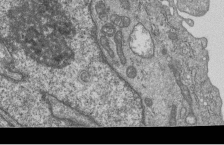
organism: Human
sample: MDA-MB-231 cells